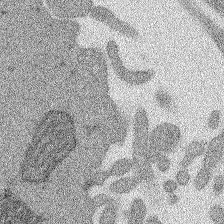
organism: Human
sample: HeLa cells